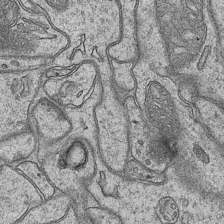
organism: Mouse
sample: CA1 Hippocampus